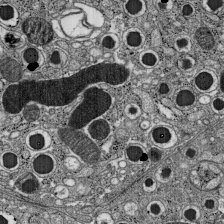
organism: C57BL Mouse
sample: Pancreatic islet